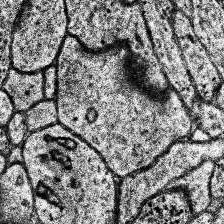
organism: Human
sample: Temporal Lobe